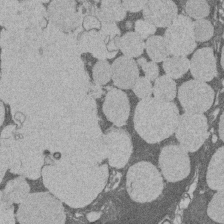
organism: Rat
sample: Salivary granule